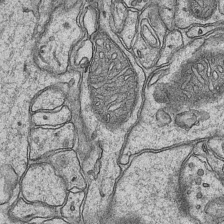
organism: Mouse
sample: CA1 Hippocampus